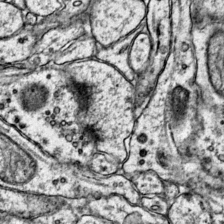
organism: Mouse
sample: Primary visual cortex